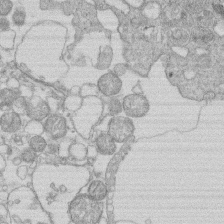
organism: Human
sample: Macrophage cells